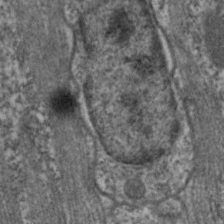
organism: C. elegans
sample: Pharynx